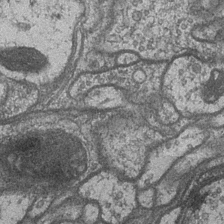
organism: Drosophila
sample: Optic medulla